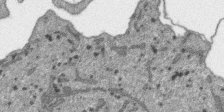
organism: Human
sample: Lung epithelial cells infected with SARS-CoV-2